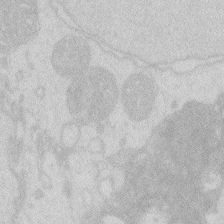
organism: Zebrafish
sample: Macrophage